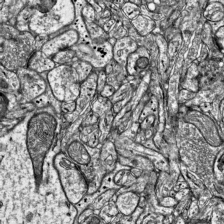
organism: Mouse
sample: Visual Cortex